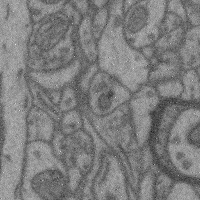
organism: Mouse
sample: Cerebral cortex